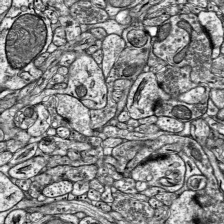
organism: Mouse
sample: Visual Cortex